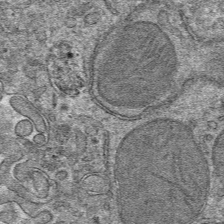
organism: Mouse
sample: Mouse hepatocytes